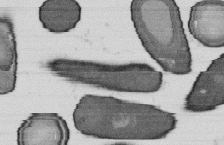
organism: B. subtilis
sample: Bacterial spore